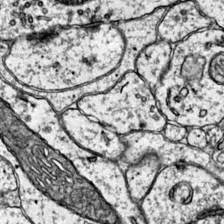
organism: Mouse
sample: Primary visual cortex